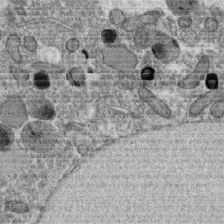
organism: C. elegans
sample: C. elegans oocyte; sperm cells